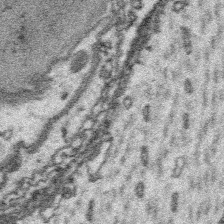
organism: Platynereis dumerilii